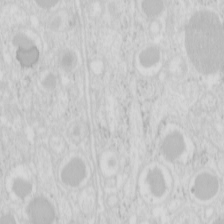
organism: Mouse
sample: Pancreas